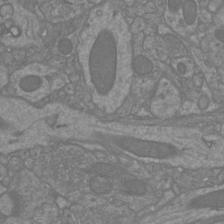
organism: Mouse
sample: Cortical neurons